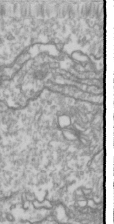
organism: Drosophila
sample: Cell division; meiosis; drosophila spermatocytes